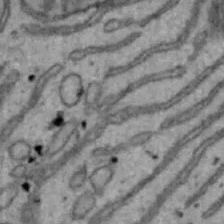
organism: Mouse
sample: Liver